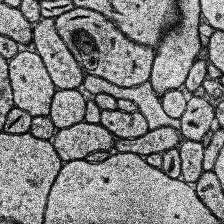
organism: Human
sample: Temporal Lobe